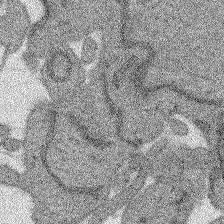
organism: Human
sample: HeLa cells